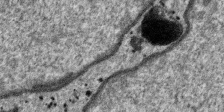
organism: Human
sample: Lung epithelial cells, uninfected (mock) control